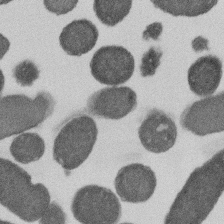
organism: E. coli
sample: Bacterial nucleoid